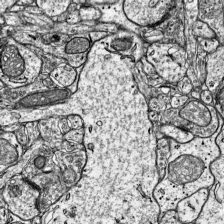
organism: Mouse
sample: Visual Cortex